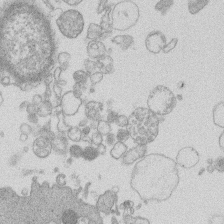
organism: Human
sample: Macrophage cells